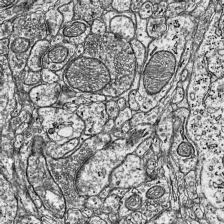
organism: Mouse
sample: Visual Cortex